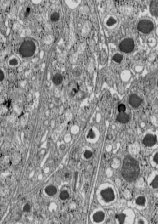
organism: C57BL Mouse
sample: Pancreatic islet